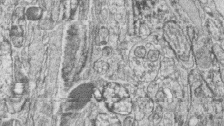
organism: Zebrafish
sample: synaptic ribbons in rod cells and cone cells